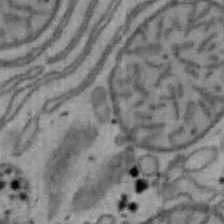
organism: Mouse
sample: Liver